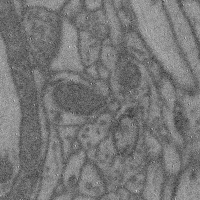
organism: Mouse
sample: Cerebral cortex